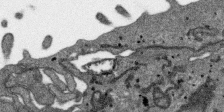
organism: Human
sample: Lung epithelial cells, uninfected (mock) control